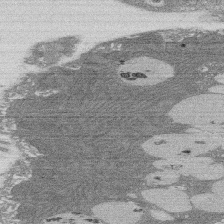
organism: Rat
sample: Salivary granule